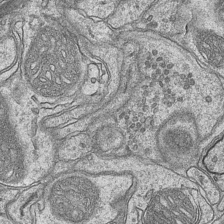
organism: Mouse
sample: CA1 Hippocampus